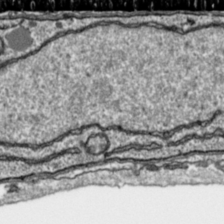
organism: Toxoplasma gondii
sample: Parasites in a vacuole inside a host cell